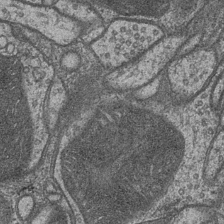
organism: Drosophila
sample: Optic medulla